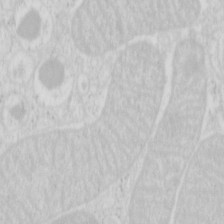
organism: Mouse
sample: Pancreas